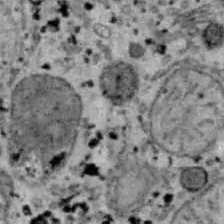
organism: Mouse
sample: Liver from an obese (ob/ob) mouse